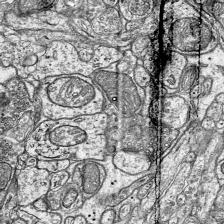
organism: Mouse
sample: Visual Cortex